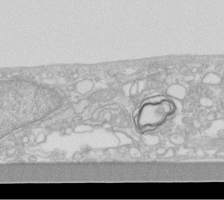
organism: Human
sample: Fibroblast cells